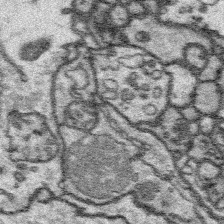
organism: Platynereis dumerilii